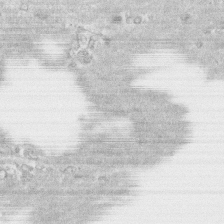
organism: Human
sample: CRL-1474